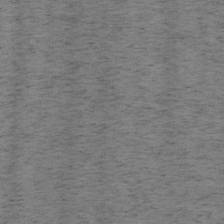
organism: Mouse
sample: OT-I killer T cells with ID8 ovarian cancer cells